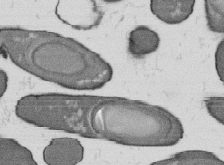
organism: B. subtilis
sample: Bacterial spore